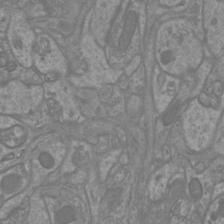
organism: Mouse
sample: Cortical neurons